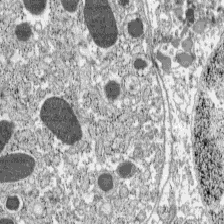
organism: C57BL Mouse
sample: Pancreatic islet